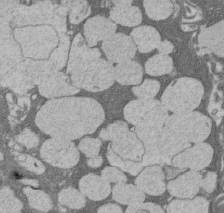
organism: Rat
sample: Salivary granule